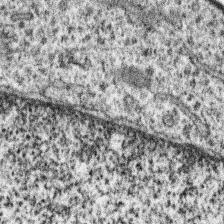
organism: Human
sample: HeLa cells